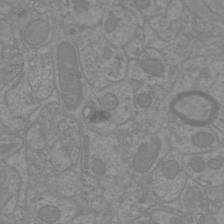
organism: Mouse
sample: Cortical neurons